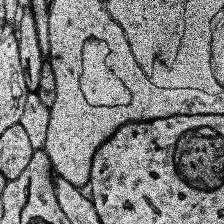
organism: Human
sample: Temporal Lobe